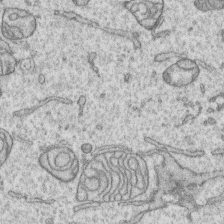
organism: Human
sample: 1205lu cells